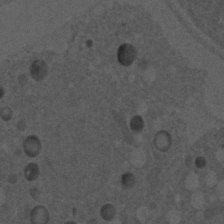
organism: C. elegans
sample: C. elegans embryo